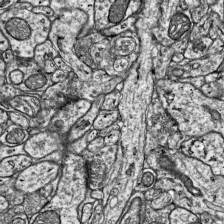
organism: Mouse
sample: Visual Cortex